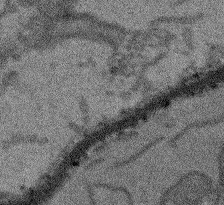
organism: Arabidopsis thaliana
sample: Root tip